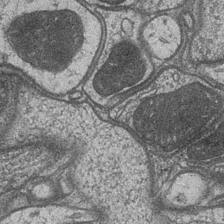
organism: Drosophila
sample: Optic medulla